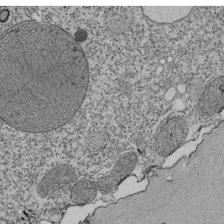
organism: Tetrahymena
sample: Cilia in tetrahymena